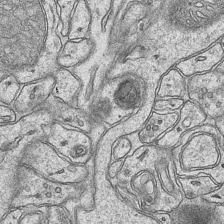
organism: Mouse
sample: CA1 Hippocampus